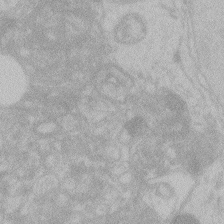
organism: Zebrafish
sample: Macrophage infected with Toxoplasma gondii